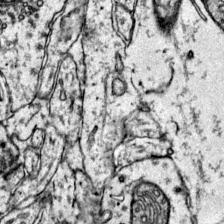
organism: Mouse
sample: Primary visual cortex